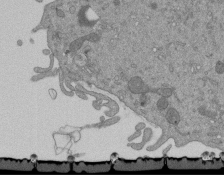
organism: Mouse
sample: ED-1 cell nuclei; centrioles